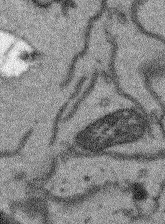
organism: Arabidopsis thaliana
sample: Root tip